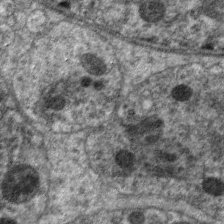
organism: C. elegans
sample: Pharynx